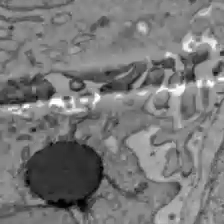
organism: C57BL Mouse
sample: Liver